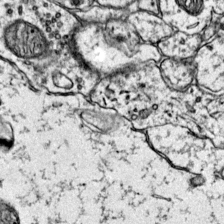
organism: Mouse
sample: Primary visual cortex